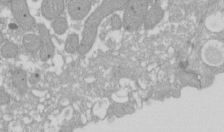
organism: Xenopus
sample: Cilia; centrioles in frog embryo cells